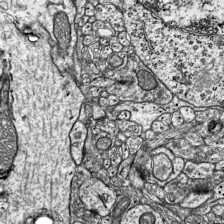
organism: Mouse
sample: Visual Cortex